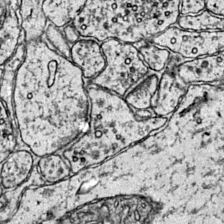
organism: Mouse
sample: Primary visual cortex